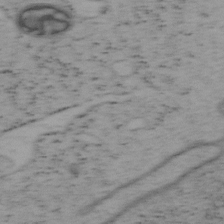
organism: Mouse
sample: OT-I killer T cells with ID8 ovarian cancer cells